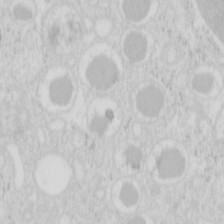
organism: Mouse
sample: Pancreas